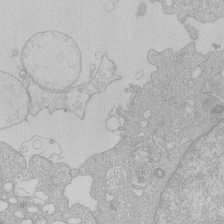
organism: Human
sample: Macrophage cells